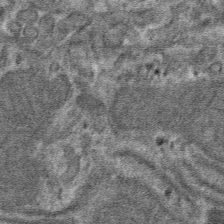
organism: Mouse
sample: Mouse hepatocytes